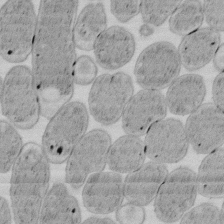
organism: E. coli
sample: Bacterial nucleoid